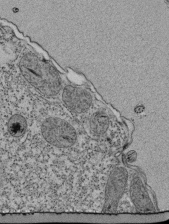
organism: Tetrahymena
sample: Cilia in tetrahymena